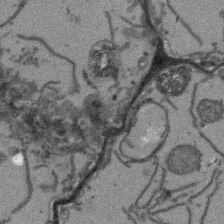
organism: Arabidopsis thaliana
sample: Root tip